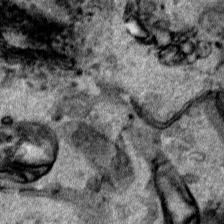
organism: Human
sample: Mitochondria in HCT116 cells